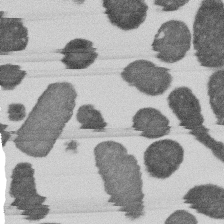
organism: E. coli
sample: Bacterial nucleoid